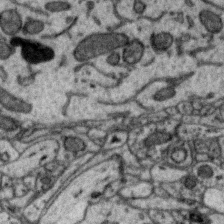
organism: Zebra finch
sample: Brain